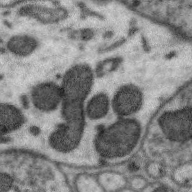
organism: Zebra finch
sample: Brain